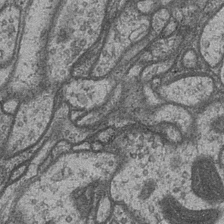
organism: Drosophila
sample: Optic medulla